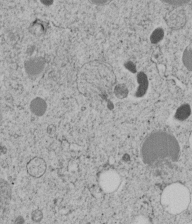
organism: C. elegans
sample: C. elegans embryo early stage